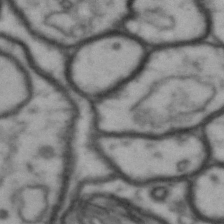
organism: Drosophila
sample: Brain